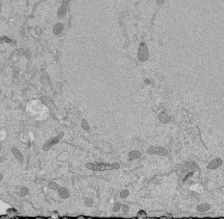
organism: Mouse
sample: ED-1 cell nuclei; centrioles